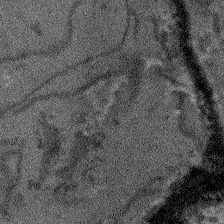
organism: Arabidopsis thaliana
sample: Root tip